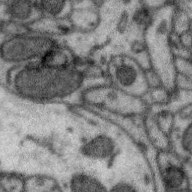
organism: Zebra finch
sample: Brain